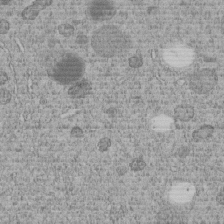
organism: C. elegans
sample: C. elegans embryo early stage